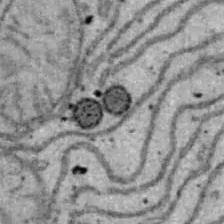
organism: Mouse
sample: Liver from an obese (ob/ob) mouse